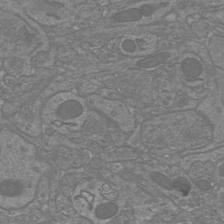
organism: Mouse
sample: Cortical neurons